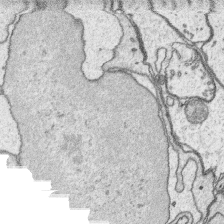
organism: Platynereis dumerilii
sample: Parapodia